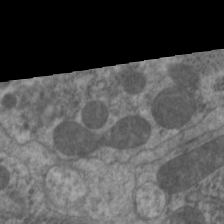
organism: C. elegans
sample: Pharynx